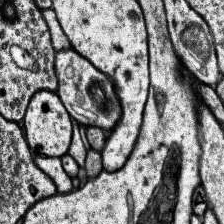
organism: Human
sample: Temporal Lobe